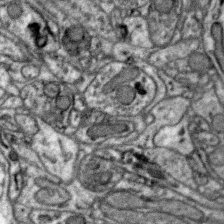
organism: Zebra finch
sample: Brain